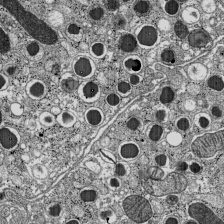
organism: C57BL Mouse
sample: Pancreatic islet